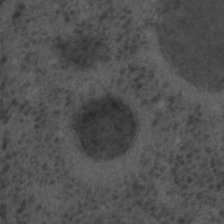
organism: C. elegans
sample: C. elegans embryo